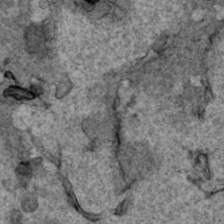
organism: Human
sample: Mitochondria in HCT116 cells